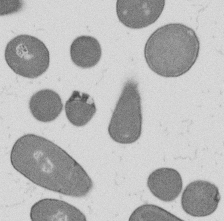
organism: B. subtilis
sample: Bacterial spore